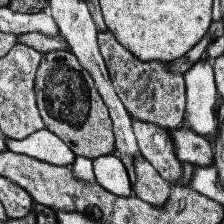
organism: Human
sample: Temporal Lobe